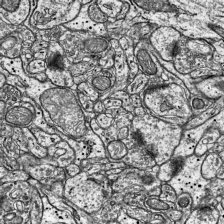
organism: Mouse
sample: Visual Cortex